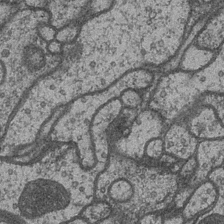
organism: Drosophila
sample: Optic medulla